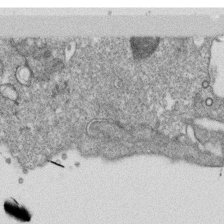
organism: African green monkey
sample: Vero E6 cells infected with SARS-CoV-2